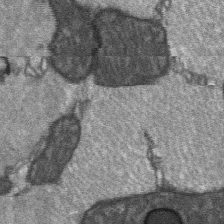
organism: C57BL Mouse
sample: Soleus